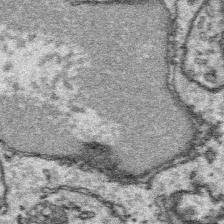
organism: Platynereis dumerilii